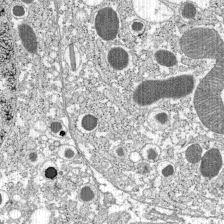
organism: C57BL Mouse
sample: Pancreatic islet